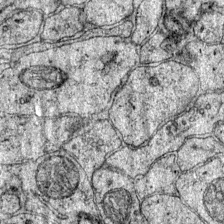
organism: Mouse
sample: Primary visual cortex